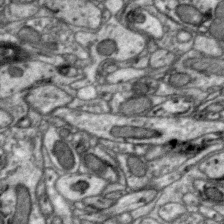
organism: Zebra finch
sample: Brain